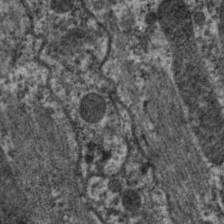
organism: C. elegans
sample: Pharynx